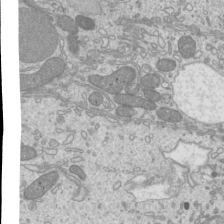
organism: Mouse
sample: Cilia; mouse epididymis